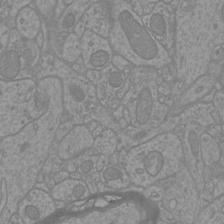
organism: Mouse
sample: Cortical neurons